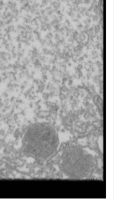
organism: Drosophila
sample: Cell division; meiosis; drosophila spermatocytes